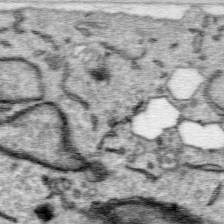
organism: Human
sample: HeLa cells